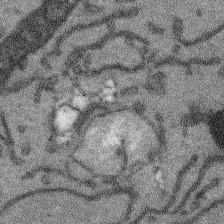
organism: Arabidopsis thaliana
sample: Root tip